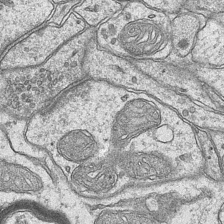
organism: Mouse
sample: CA1 Hippocampus